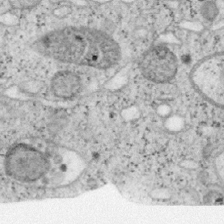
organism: Mouse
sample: OT-I killer T cells with ID8 ovarian cancer cells